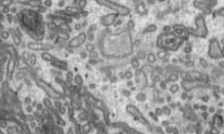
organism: Toxoplasma gondii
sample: Parasites in a vacuole inside a host cell